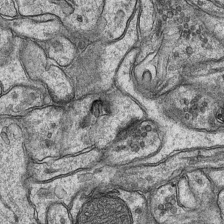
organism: Mouse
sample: CA1 Hippocampus